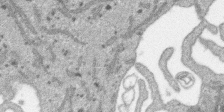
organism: Human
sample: Lung epithelial cells infected with SARS-CoV-2